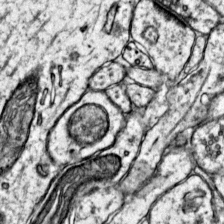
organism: Mouse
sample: Primary visual cortex